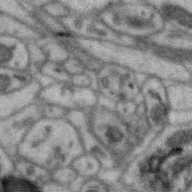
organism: Zebra finch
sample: Brain